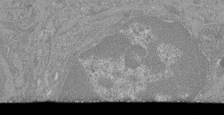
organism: Mouse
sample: Glomerulus